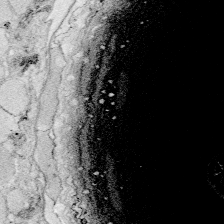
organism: Zebrafish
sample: Whole-Brain